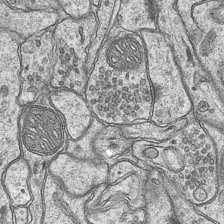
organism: Mouse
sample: CA1 Hippocampus